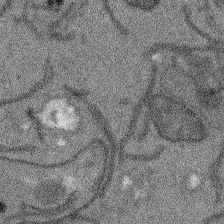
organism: Arabidopsis thaliana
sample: Root tip